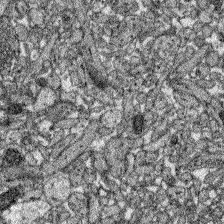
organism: Zebrafish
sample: Larval olfactory bulb